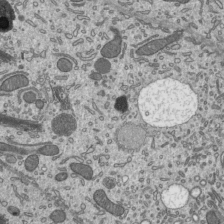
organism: Mouse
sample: Mouse epididymis efferent ductule cilia